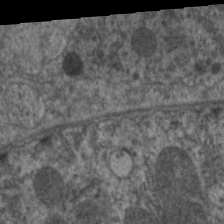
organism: C. elegans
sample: Pharynx